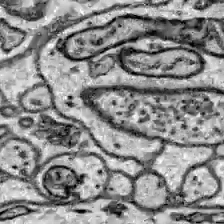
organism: Zebrafish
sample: Brain